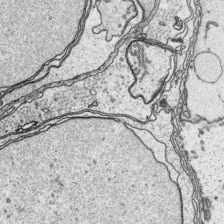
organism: Platynereis dumerilii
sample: Parapodia